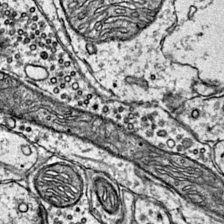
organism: Mouse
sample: Primary visual cortex